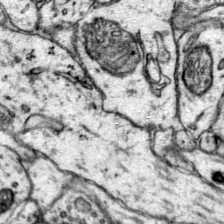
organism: Mouse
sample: Primary visual cortex